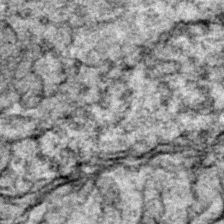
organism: Zebrafish